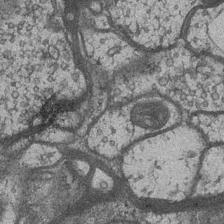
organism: Drosophila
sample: Optic medulla